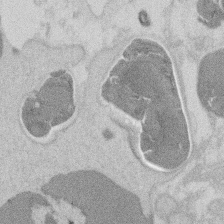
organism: Mouse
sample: T cell stromal cell synapse